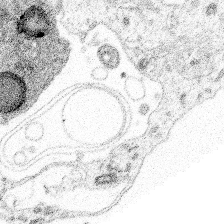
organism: Spongilla lacustris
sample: Multiple